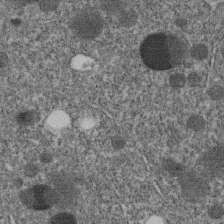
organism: C. elegans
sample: C. elegans embryo early stage